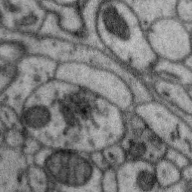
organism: Zebra finch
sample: Brain